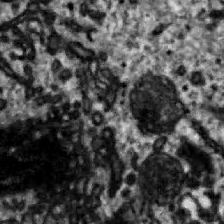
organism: Human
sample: HeLa cells